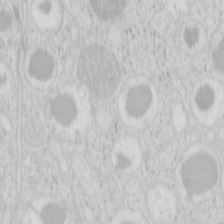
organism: Mouse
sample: Pancreas